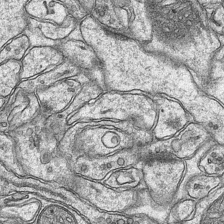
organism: Mouse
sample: CA1 Hippocampus